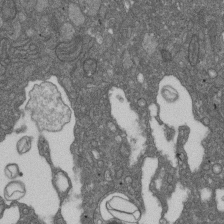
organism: Drosophila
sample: Nephrocyte